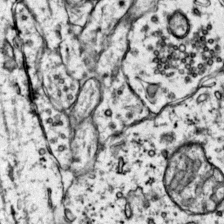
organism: Mouse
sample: Primary visual cortex